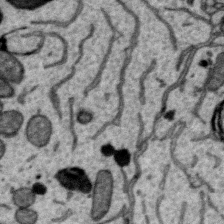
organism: Zebra finch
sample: Brain